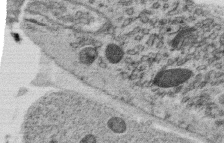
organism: C. elegans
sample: C. elegans oocyte; sperm cells